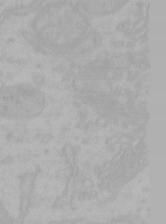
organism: Mouse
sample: Choroid plexus